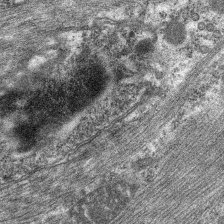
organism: C. elegans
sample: Pharynx